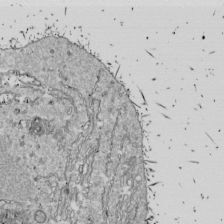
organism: Drosophila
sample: Cell division; meiosis; drosophila spermatocytes